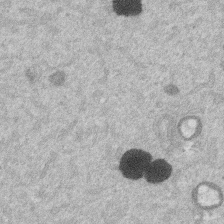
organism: Mouse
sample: Dividing mouse embryo 1 cell stage